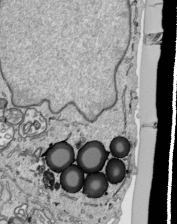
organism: Human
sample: Mitochondria in HCT116 cells